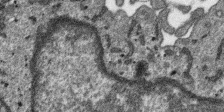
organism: Human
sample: Lung epithelial cells infected with SARS-CoV-2